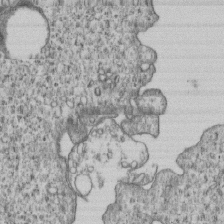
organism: Human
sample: MDA-MB-231 cells